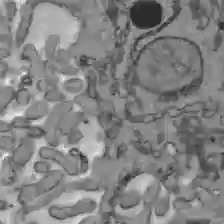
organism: C57BL Mouse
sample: Liver